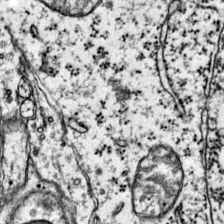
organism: Mouse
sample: Primary visual cortex